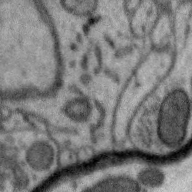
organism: Zebra finch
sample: Brain